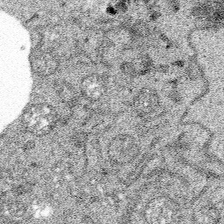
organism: Spongilla lacustris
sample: Multiple